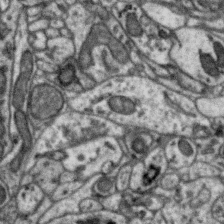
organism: Zebra finch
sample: Brain